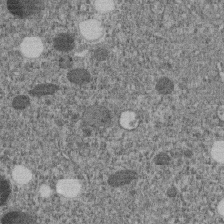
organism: C. elegans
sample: C. elegans embryo early stage